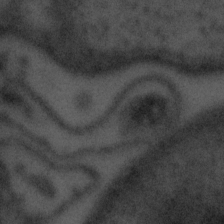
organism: Tuwongella immobilis